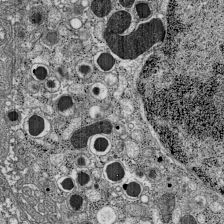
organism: C57BL Mouse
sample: Pancreatic islet